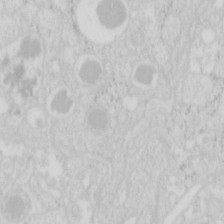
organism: Mouse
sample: Pancreas